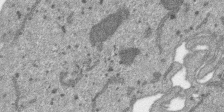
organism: Human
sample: Lung epithelial cells infected with SARS-CoV-2